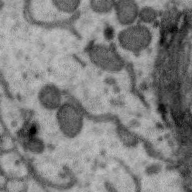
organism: Zebra finch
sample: Brain